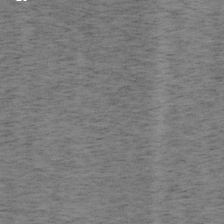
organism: Mouse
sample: OT-I killer T cells with ID8 ovarian cancer cells